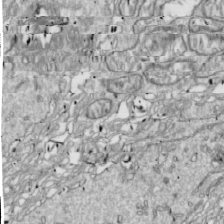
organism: Drosophila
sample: Cell division; meiosis; drosophila spermatocytes